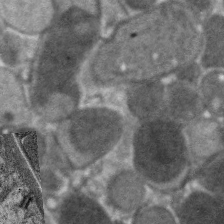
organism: C. elegans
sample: Pharynx